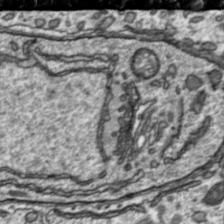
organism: Toxoplasma gondii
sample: Parasites in a vacuole inside a host cell